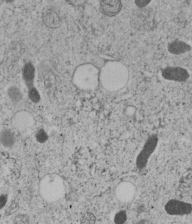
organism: C. elegans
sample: C. elegans embryo early stage